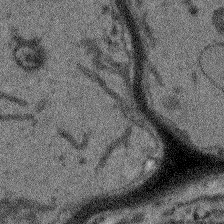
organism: Arabidopsis thaliana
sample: Root tip